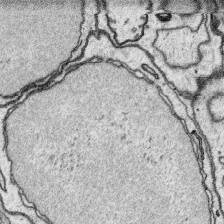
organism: Platynereis dumerilii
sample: Parapodia